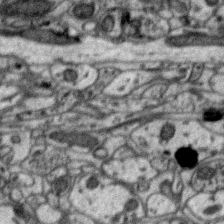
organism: Zebra finch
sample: Brain